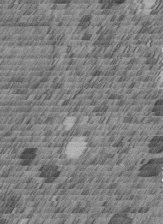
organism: C. elegans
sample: C. elegans embryo early stage